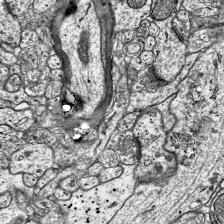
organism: Mouse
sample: Visual Cortex